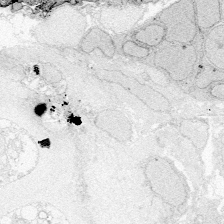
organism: Zebrafish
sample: Whole-Brain